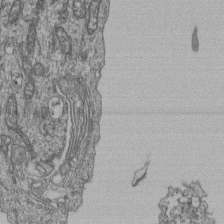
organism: Human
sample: Retinal organoid Rod and Cone cells